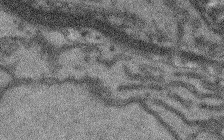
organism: Arabidopsis thaliana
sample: Root tip